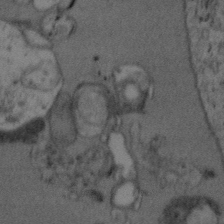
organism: Human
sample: HeLa cells